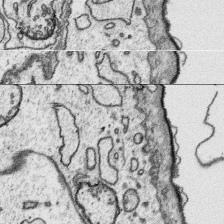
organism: Platynereis dumerilii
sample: Parapodia